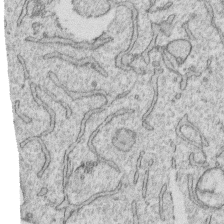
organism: Human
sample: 1205lu cells